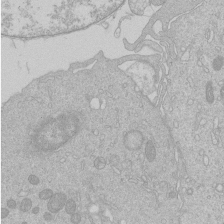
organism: Human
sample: Macrophage cells